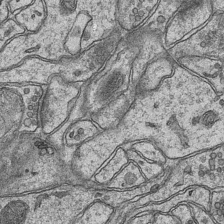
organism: Mouse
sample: CA1 Hippocampus